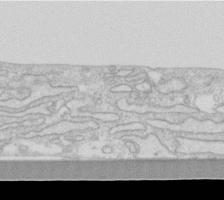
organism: Human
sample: Fibroblast cells